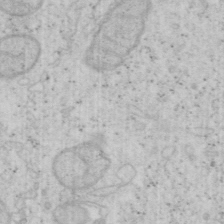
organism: Human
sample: HeLa cells